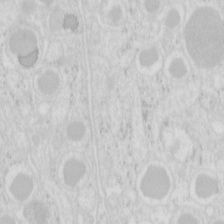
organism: Mouse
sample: Pancreas